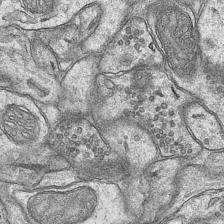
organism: Mouse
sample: CA1 Hippocampus